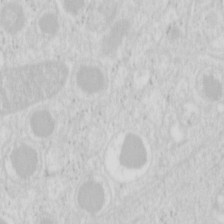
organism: Mouse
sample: Pancreas